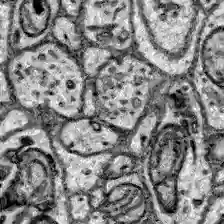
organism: Zebrafish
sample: Brain